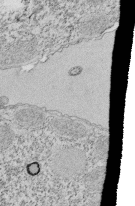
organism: Tetrahymena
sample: Cilia in tetrahymena